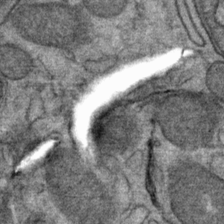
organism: Mouse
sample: Mouse Salivary gland